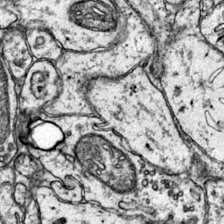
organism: Mouse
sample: Primary visual cortex